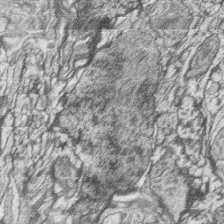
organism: Zebrafish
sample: synaptic ribbons in rod cells and cone cells